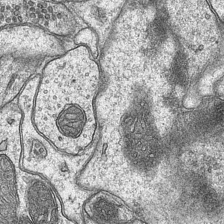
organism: Mouse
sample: CA1 Hippocampus